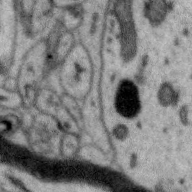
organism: Zebra finch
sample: Brain